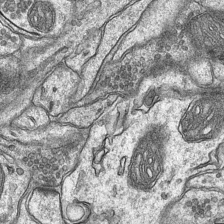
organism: Mouse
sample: CA1 Hippocampus